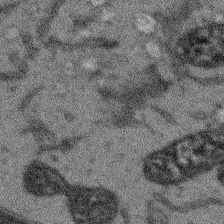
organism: Arabidopsis thaliana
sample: Root tip